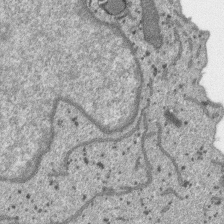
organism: Human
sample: Lung epithelial cells infected with SARS-CoV-2